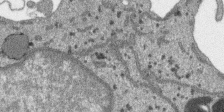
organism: Human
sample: Lung epithelial cells infected with SARS-CoV-2